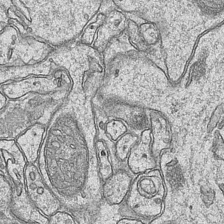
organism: Mouse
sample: CA1 Hippocampus